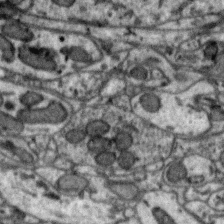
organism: Zebra finch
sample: Brain